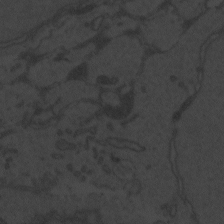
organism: Zebrafish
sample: Macrophage infected with Toxoplasma gondii